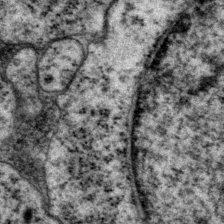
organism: P. pacificus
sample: Pharynx